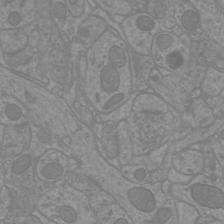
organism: Mouse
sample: Cortical neurons